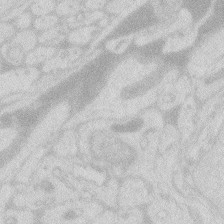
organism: Zebrafish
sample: Macrophage